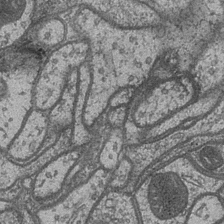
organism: Drosophila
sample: Optic medulla